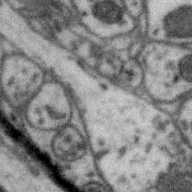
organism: Zebra finch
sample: Brain